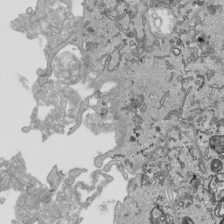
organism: Human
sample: Mitochondria in HCT116 cells